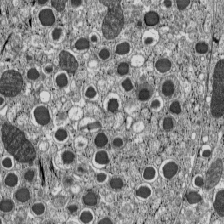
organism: C57BL Mouse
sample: Pancreatic islet